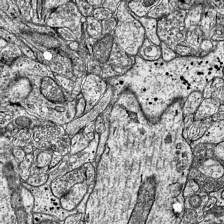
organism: Mouse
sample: Visual Cortex